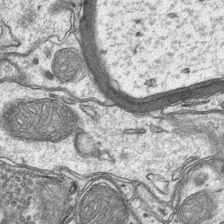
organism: Mouse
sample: CA1 Hippocampus